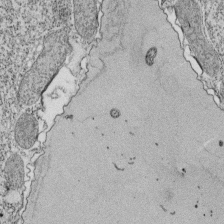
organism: Tetrahymena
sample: Cilia in tetrahymena